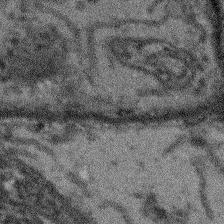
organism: Arabidopsis thaliana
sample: Root tip